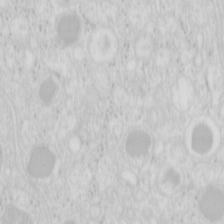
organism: Mouse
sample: Pancreas